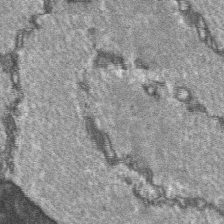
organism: C57BL Mouse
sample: Soleus